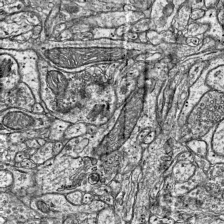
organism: Mouse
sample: Visual Cortex